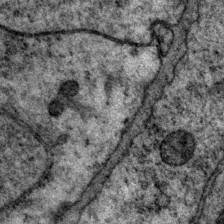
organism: P. pacificus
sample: Pharynx